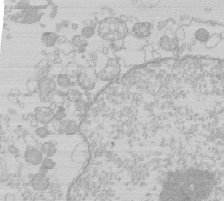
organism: Human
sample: Macrophage cells